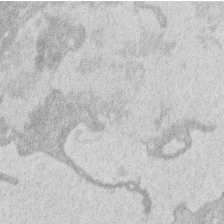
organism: Human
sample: Macrophage cells